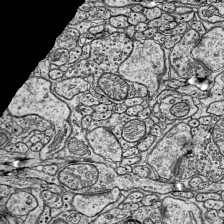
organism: Mouse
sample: Visual Cortex